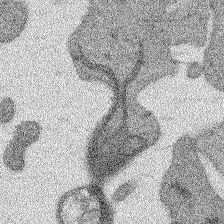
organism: Human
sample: HeLa cells